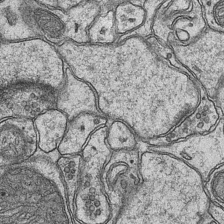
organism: Mouse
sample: CA1 Hippocampus